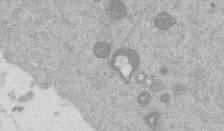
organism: Mouse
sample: Dividing mouse embryo 1 cell stage